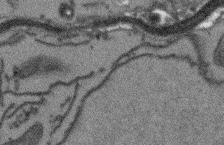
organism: Arabidopsis thaliana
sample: Root tip